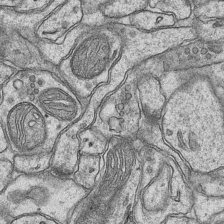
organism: Mouse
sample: CA1 Hippocampus